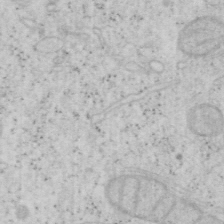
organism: Human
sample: HeLa cells